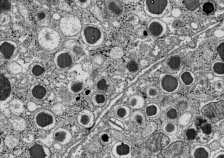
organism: C57BL Mouse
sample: Pancreatic islet